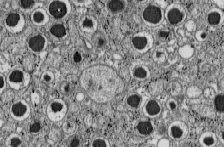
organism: C57BL Mouse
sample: Pancreatic islet